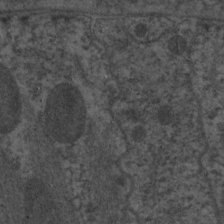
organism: C. elegans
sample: Pharynx